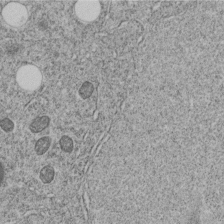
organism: C. elegans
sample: C. elegans embryo early stage